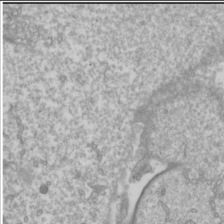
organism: Drosophila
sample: Cell division; meiosis; drosophila spermatocytes